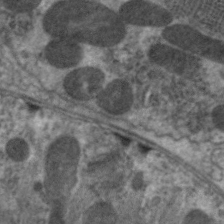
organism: C. elegans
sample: Pharynx